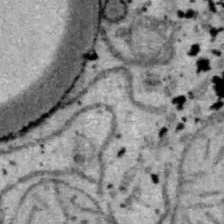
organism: Mouse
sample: Liver from an obese (ob/ob) mouse